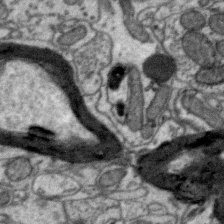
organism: Zebra finch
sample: Brain